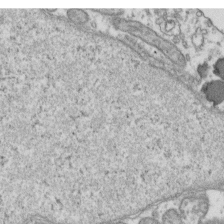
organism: Human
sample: Activated Jurkat CD4+ T cells